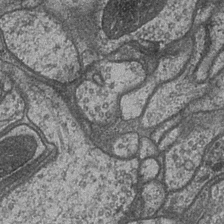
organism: Drosophila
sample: Optic medulla